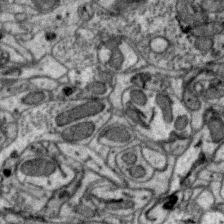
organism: Zebra finch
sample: Brain